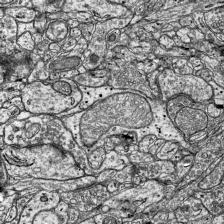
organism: Mouse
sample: Visual Cortex